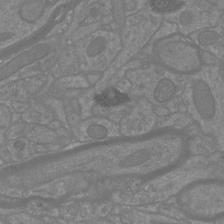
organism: Mouse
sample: Cortical neurons